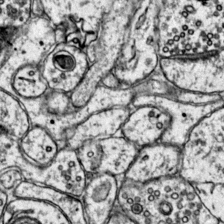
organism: Mouse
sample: Primary visual cortex